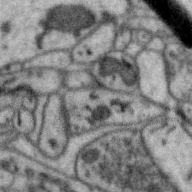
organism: Zebra finch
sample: Brain